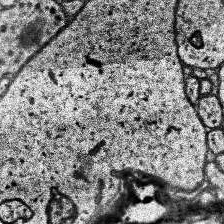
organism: Human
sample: Temporal Lobe